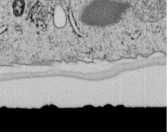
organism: C. elegans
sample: C. elegans embryo early stage